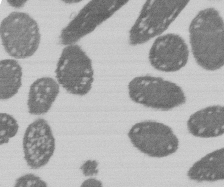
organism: E. coli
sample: Bacterial nucleoid